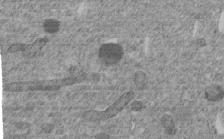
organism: C. elegans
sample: C. elegans embryo early stage